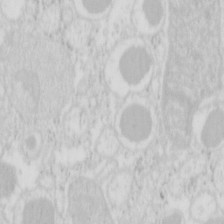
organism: Mouse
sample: Pancreas